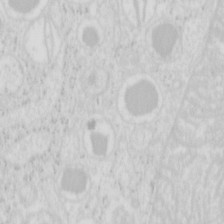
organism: Mouse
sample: Pancreas